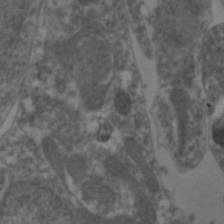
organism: Zebrafish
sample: Zebrafish embryo